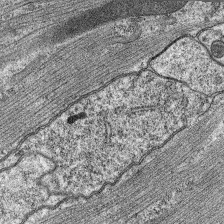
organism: C. elegans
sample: Pharynx